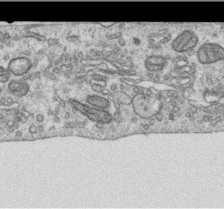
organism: Human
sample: Centriole in RPE cells